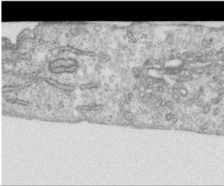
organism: Human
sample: Centriole in RPE cells